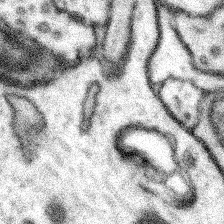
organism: Mouse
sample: Somatosensory cortex neuropil